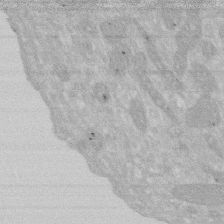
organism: Human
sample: HIV infected U937 cells